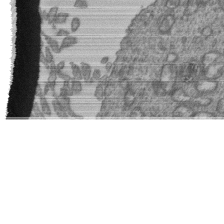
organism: Human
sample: Retinal organoid Rod and Cone cells